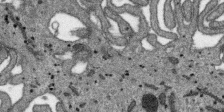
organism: Human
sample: Lung epithelial cells, uninfected (mock) control